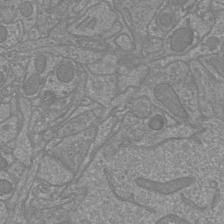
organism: Mouse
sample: Cortical neurons